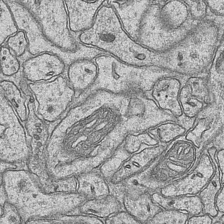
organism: Mouse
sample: CA1 Hippocampus